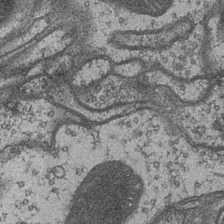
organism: Drosophila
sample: Optic medulla